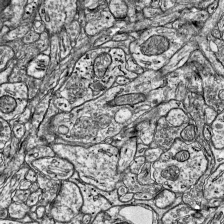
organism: Mouse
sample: Visual Cortex